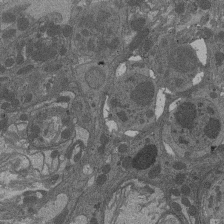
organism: Drosophila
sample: Antenna